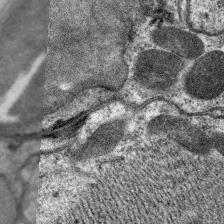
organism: C. elegans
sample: Pharynx